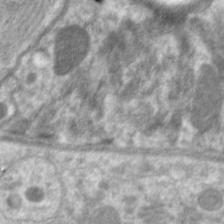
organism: C. elegans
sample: Pharynx